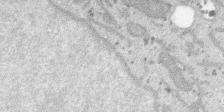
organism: Human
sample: Lung epithelial cells infected with SARS-CoV-2